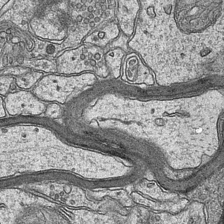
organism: Mouse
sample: CA1 Hippocampus